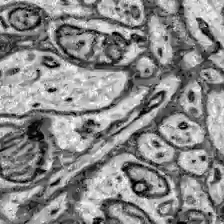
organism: Zebrafish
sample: Brain